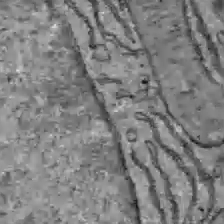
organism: C57BL Mouse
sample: Liver